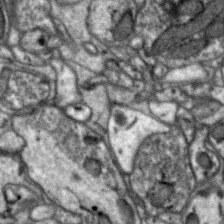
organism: Zebra finch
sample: Brain